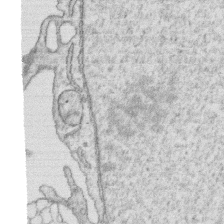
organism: Human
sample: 1205lu cells